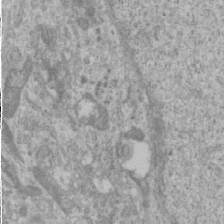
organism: Human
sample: Cilia; basal body in RPE cells